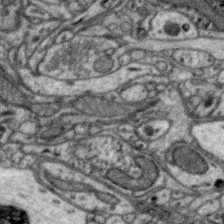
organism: Zebra finch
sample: Brain